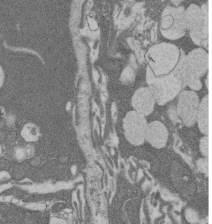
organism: Rat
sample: Salivary granule